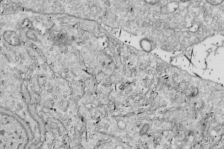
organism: Drosophila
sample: Cell division; meiosis; drosophila spermatocytes